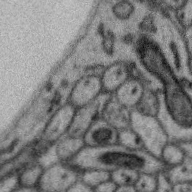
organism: Zebra finch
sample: Brain